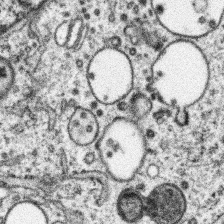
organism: Human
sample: HeLa cells